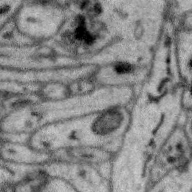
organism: Zebra finch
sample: Brain